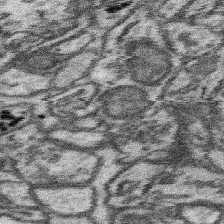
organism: Mouse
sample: Somatosensory cortex neuropil